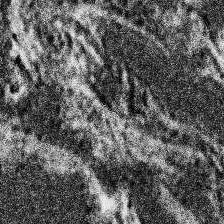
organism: Human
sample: Temporal Lobe